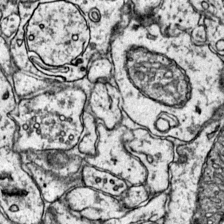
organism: Mouse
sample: Primary visual cortex